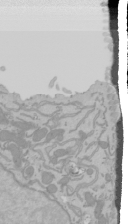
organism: Mouse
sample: Cancer cell death in ED-1 cells